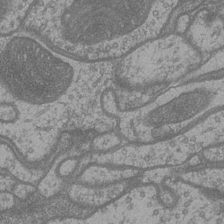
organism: Drosophila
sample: Optic medulla